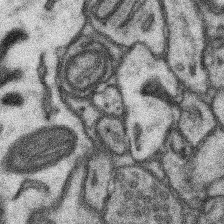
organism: Mouse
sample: Somatosensory cortex neuropil